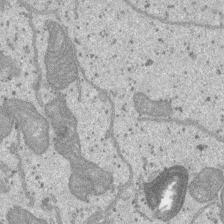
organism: Human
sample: Lung epithelial cells infected with SARS-CoV-2